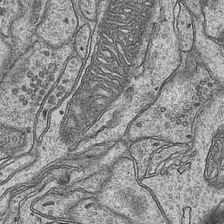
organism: Mouse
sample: CA1 Hippocampus